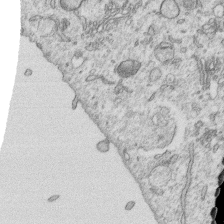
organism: Human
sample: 1205lu cells